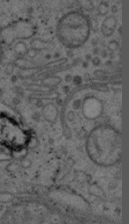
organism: Human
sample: HeLa cells